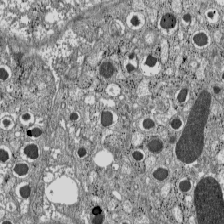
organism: C57BL Mouse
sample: Pancreatic islet